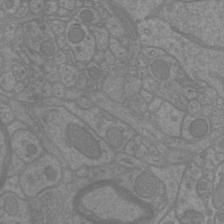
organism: Mouse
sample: Cortical neurons